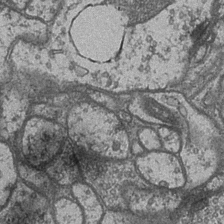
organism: Drosophila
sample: Optic medulla